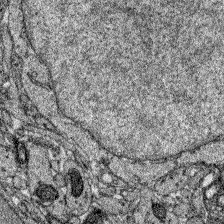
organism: Zebrafish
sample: Larval olfactory bulb